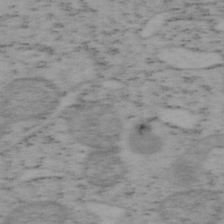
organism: Mouse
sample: OT-I killer T cells with ID8 ovarian cancer cells